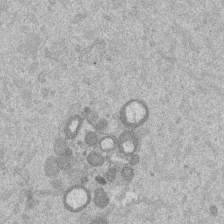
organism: Mouse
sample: Dividing mouse embryo 1 cell stage